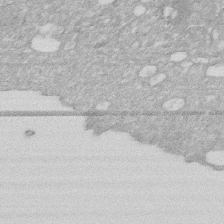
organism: Human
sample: HIV infected U937 cells